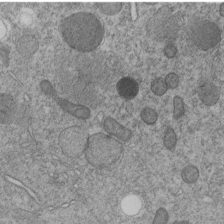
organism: C. elegans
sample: C. elegans embryo early stage